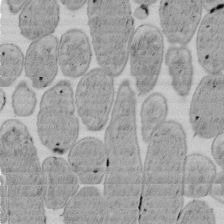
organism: E. coli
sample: Bacterial nucleoid